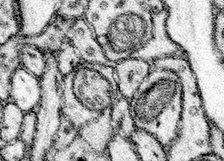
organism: Mouse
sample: Somatosensory cortex neuropil